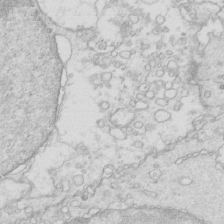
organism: Mouse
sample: Multiciliated cells